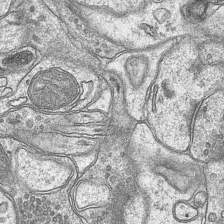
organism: Mouse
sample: CA1 Hippocampus